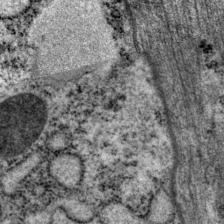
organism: P. pacificus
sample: Pharynx